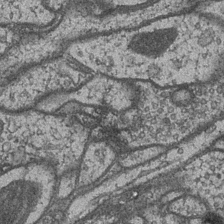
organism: Drosophila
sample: Optic medulla